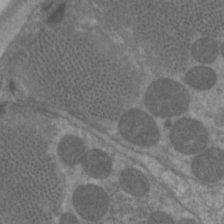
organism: C. elegans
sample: Pharynx